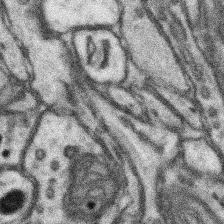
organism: Mouse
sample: Somatosensory cortex neuropil